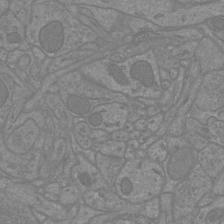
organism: Mouse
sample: Cortical neurons